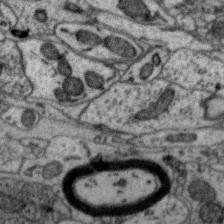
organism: Zebra finch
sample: Brain